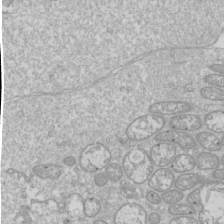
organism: Drosophila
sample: Cell division; meiosis; drosophila spermatocytes